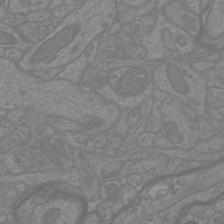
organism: Mouse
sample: Cortical neurons